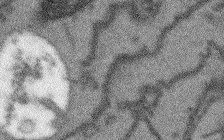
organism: Arabidopsis thaliana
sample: Root tip